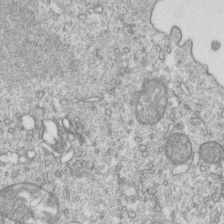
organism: Mouse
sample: Activated OT-1 CD8+ T cells